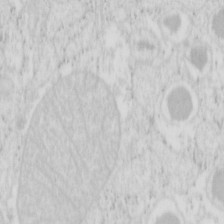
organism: Mouse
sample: Pancreas